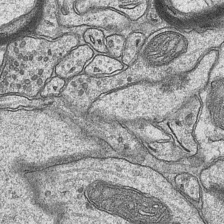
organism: Mouse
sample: CA1 Hippocampus